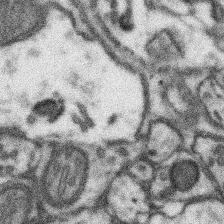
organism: Mouse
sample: Somatosensory cortex neuropil